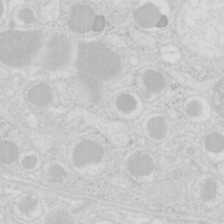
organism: Mouse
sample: Pancreas